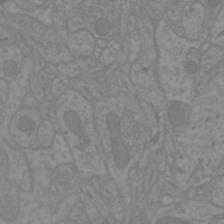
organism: Mouse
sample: Cortical neurons